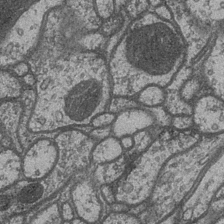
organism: Drosophila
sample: Optic medulla